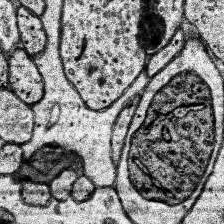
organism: Human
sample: Temporal Lobe